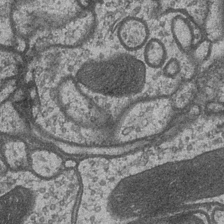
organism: Drosophila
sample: Optic medulla